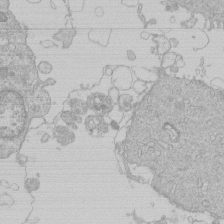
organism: Human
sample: Macrophage cells